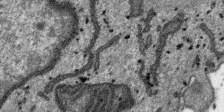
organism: Human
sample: Lung epithelial cells, uninfected (mock) control